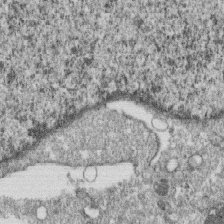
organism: African green monkey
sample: Vero E6 cells infected with SARS-CoV-2